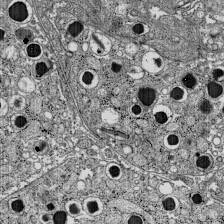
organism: C57BL Mouse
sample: Pancreatic islet